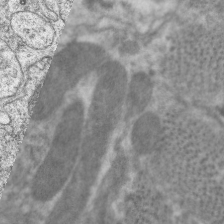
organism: C. elegans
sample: Pharynx